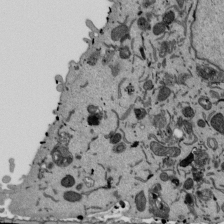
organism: Mouse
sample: ED-1 cell nuclei; centrioles